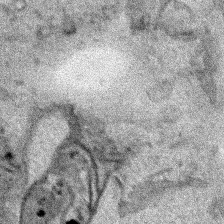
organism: Human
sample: Mitochondria in HCT116 cells